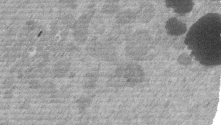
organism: Mouse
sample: Dividing mouse embryo 1 cell stage